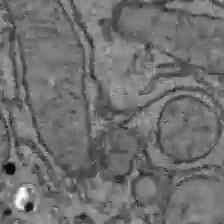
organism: C57BL Mouse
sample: Liver